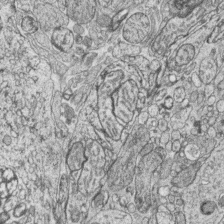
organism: Zebrafish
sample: synaptic ribbons in rod cells and cone cells